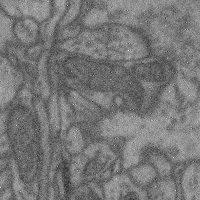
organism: Mouse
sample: Cerebral cortex